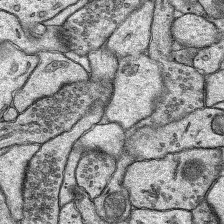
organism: Rat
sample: Hippocampus